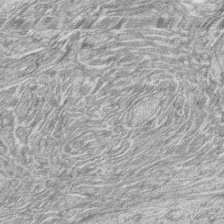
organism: Zebrafish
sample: synaptic ribbons in rod cells and cone cells